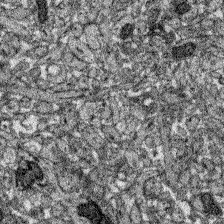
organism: Zebrafish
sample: Larval olfactory bulb